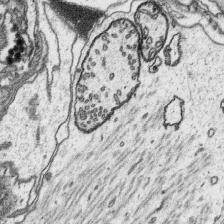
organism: Platynereis dumerilii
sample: Parapodia